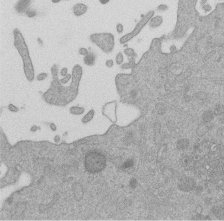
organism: Mouse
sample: Dividing mouse embryo 1 cell stage